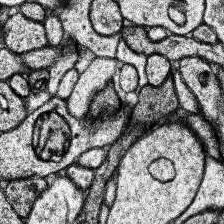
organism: Human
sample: Temporal Lobe